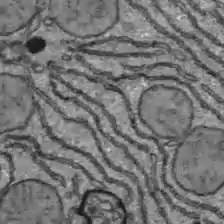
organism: C57BL Mouse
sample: Liver